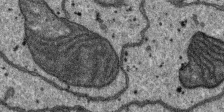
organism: Human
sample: Lung epithelial cells, uninfected (mock) control